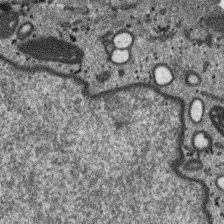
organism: Human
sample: Lung epithelial cells infected with SARS-CoV-2